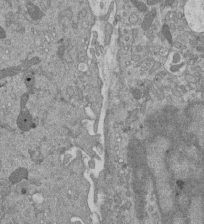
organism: Mouse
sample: ED-1 cell nuclei; centrioles